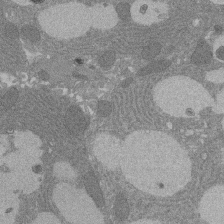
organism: Rat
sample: Salivary granule